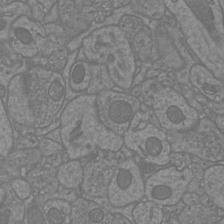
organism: Mouse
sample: Cortical neurons